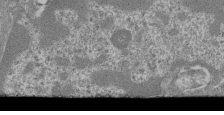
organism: Mouse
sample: Glomerulus